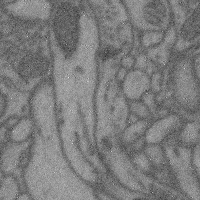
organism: Mouse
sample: Cerebral cortex